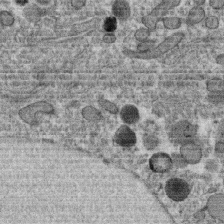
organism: C. elegans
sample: C. elegans oocyte; sperm cells